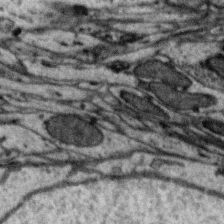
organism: Zebra finch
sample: Brain